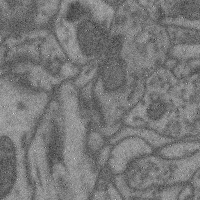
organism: Mouse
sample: Cerebral cortex